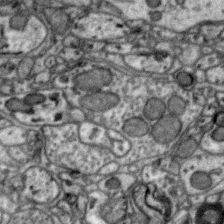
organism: Zebra finch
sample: Brain